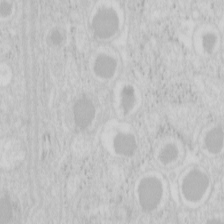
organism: Mouse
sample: Pancreas